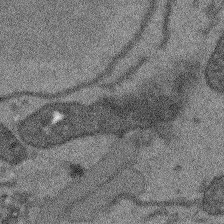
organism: Arabidopsis thaliana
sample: Root tip